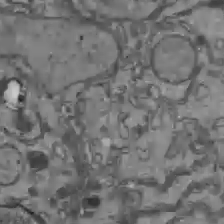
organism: C57BL Mouse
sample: Liver